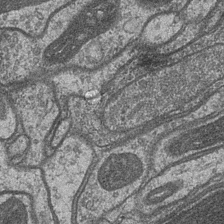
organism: Drosophila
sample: Optic medulla